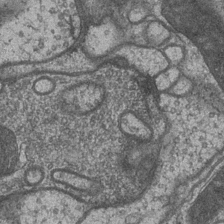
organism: Drosophila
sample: Optic medulla